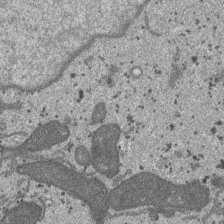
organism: Human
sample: Lung epithelial cells infected with SARS-CoV-2